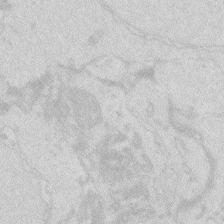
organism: Zebrafish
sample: Macrophage